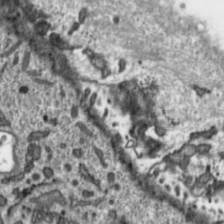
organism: Toxoplasma gondii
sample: Parasites in a vacuole inside a host cell